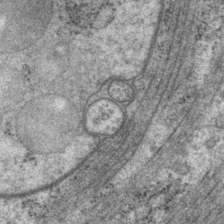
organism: P. pacificus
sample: Pharynx